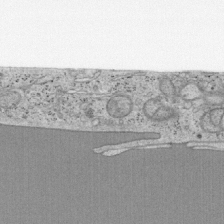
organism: Human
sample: HeLa cells